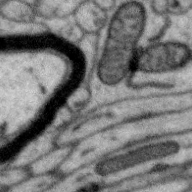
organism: Zebra finch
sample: Brain